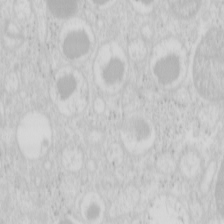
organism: Mouse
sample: Pancreas